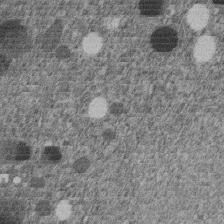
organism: C. elegans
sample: C. elegans embryo early stage